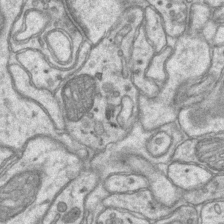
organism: Mouse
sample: CA1 Hippocampus